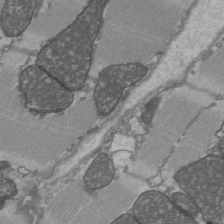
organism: C57BL Mouse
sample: Heart